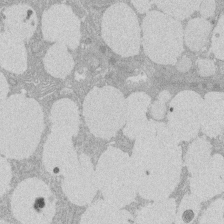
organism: Rat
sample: Salivary granule